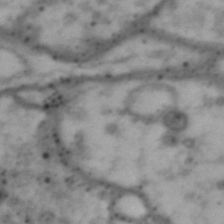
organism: Drosophila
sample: Brain